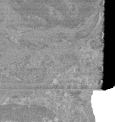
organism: Mouse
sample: Glomerulus